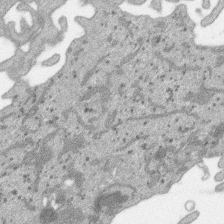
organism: Human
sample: Lung epithelial cells infected with SARS-CoV-2